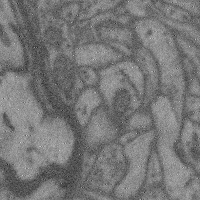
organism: Mouse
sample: Cerebral cortex